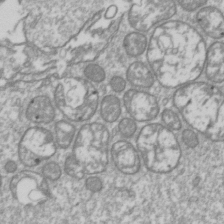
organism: Drosophila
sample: Cell division; meiosis; drosophila spermatocytes